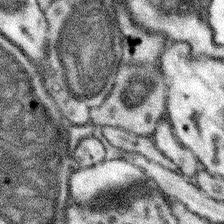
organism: Mouse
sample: Somatosensory cortex neuropil